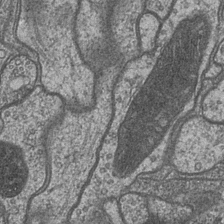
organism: Drosophila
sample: Optic medulla